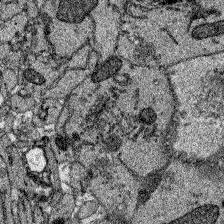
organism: Zebrafish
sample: Larval olfactory bulb